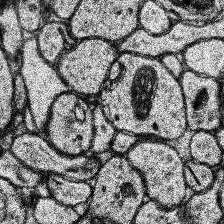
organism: Human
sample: Temporal Lobe